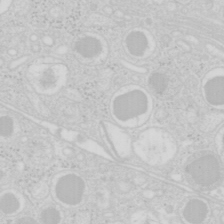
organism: Mouse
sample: Pancreas